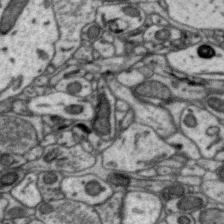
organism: Zebra finch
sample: Brain